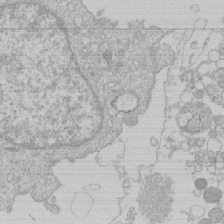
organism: Human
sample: Macrophage cells